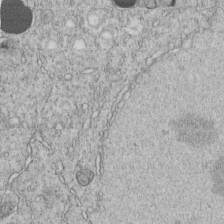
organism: C. elegans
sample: C. elegans embryo early stage